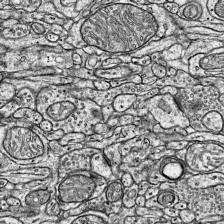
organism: Mouse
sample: Visual Cortex